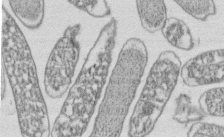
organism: E. coli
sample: Bacterial nucleoid